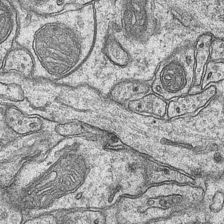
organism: Mouse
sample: CA1 Hippocampus